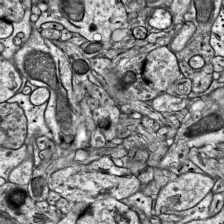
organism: Mouse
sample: Visual Cortex